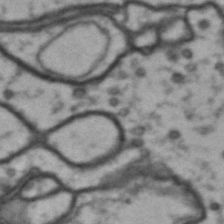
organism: Drosophila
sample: Brain